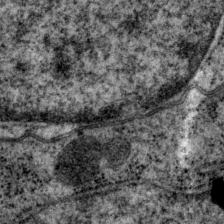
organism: P. pacificus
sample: Pharynx